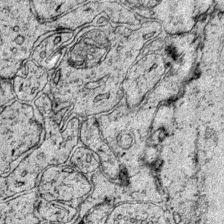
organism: Mouse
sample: Primary visual cortex